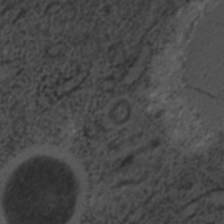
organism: C. elegans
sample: C. elegans embryo